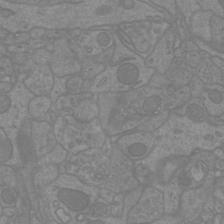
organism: Mouse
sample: Cortical neurons